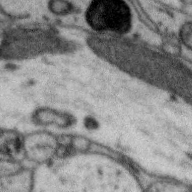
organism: Zebra finch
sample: Brain